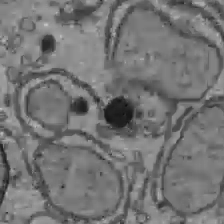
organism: C57BL Mouse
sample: Liver